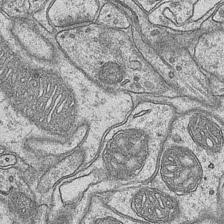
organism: Mouse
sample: CA1 Hippocampus